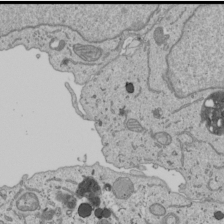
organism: Human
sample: Mitochondria in U2OS cells